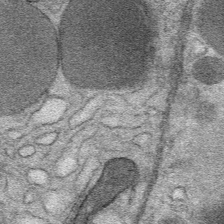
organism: Mouse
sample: Mouse Salivary gland